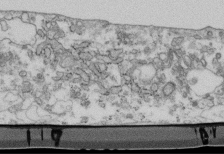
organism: Mouse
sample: Cilia; retinal pigment epithelium